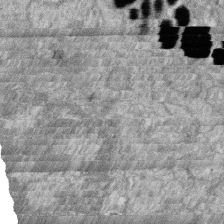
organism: Zebrafish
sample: Cilia; retinal pigment epithelium